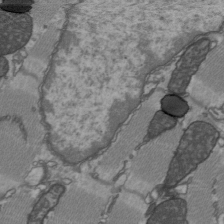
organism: C57BL Mouse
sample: Heart